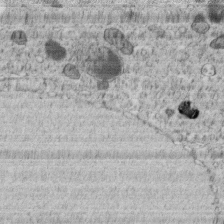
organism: C. elegans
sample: C. elegans embryo early stage